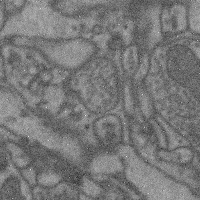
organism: Mouse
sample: Cerebral cortex